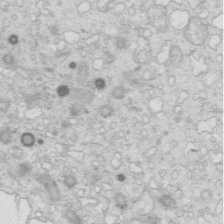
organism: Mouse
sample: Multiciliated cells